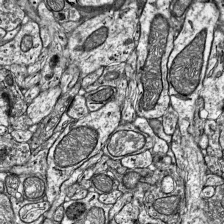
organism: Mouse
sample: Visual Cortex